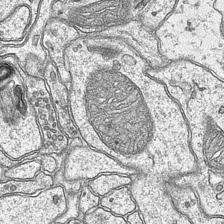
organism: Mouse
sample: CA1 Hippocampus